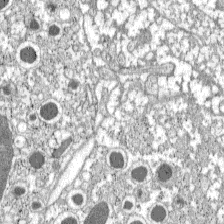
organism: C57BL Mouse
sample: Pancreatic islet